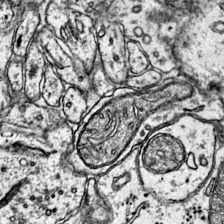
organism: Mouse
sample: Primary visual cortex